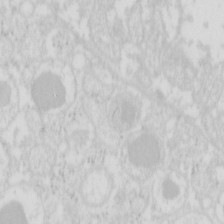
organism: Mouse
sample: Pancreas